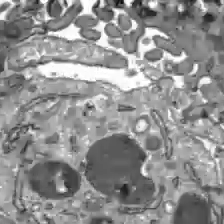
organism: C57BL Mouse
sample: Liver